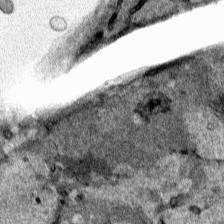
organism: Human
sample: Mitochondria in HCT116 cells